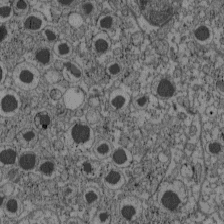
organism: C57BL Mouse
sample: Pancreatic islet